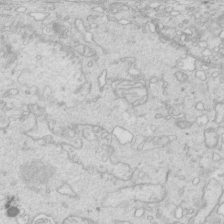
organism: Mouse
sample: Multiciliated cells